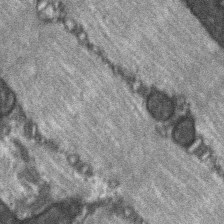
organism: C57BL Mouse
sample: Soleus